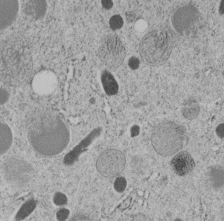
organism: C. elegans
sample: C. elegans embryo early stage